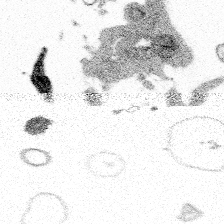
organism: Spongilla lacustris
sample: Multiple